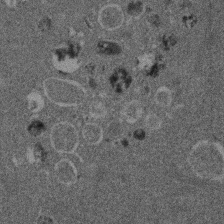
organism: Mouse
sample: Dividing mouse embryo 1 cell stage